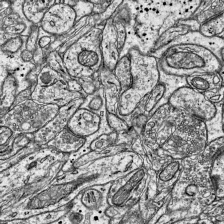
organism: Mouse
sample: Visual Cortex